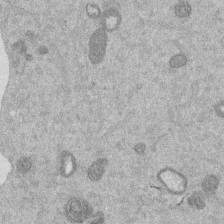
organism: Mouse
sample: Dividing mouse embryo 1 cell stage